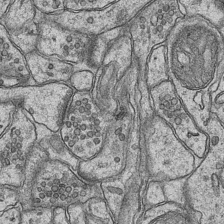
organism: Mouse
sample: CA1 Hippocampus